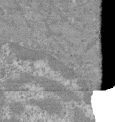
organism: Mouse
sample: Glomerulus